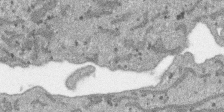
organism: Human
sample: Lung epithelial cells infected with SARS-CoV-2